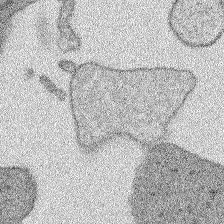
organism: Human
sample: HeLa cells